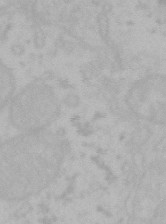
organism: Mouse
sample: Choroid plexus